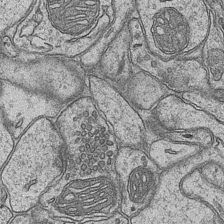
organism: Mouse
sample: CA1 Hippocampus